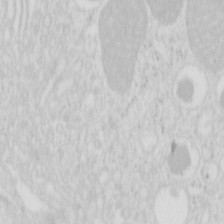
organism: Mouse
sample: Pancreas